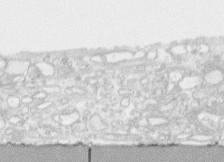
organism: Human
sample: CRL-1474